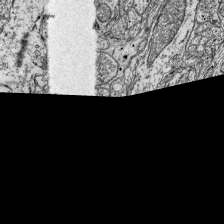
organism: Mouse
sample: Visual Cortex